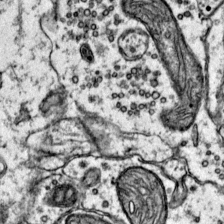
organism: Mouse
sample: Primary visual cortex